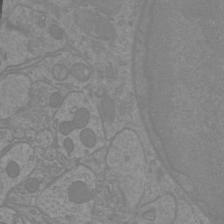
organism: Mouse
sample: Cortical neurons